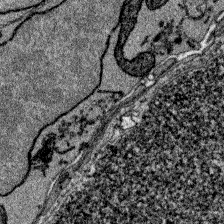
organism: Zebrafish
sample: Larval olfactory bulb